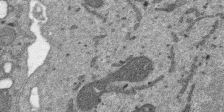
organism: Human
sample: Lung epithelial cells infected with SARS-CoV-2